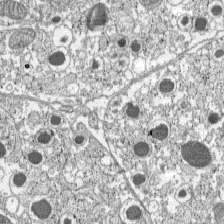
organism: C57BL Mouse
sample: Pancreatic islet